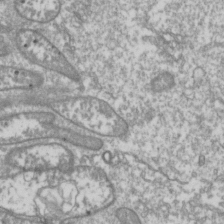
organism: Drosophila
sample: Cell division; meiosis; drosophila spermatocytes